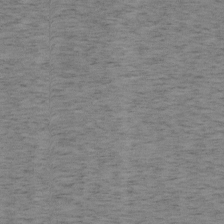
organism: Mouse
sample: OT-I killer T cells with ID8 ovarian cancer cells